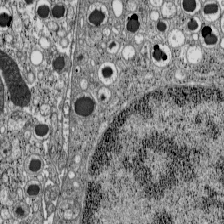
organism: C57BL Mouse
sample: Pancreatic islet